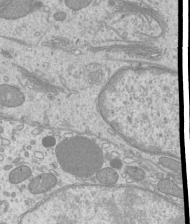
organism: Mouse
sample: Cilia; mouse epididymis